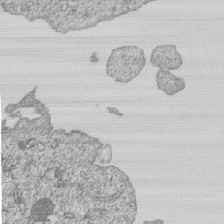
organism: Human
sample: MDA-MB-231 cells